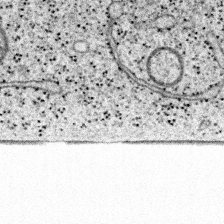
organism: Human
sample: HeLa cells